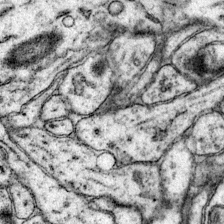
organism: Mouse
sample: Primary visual cortex